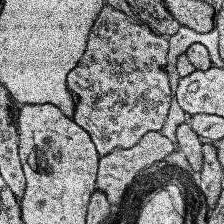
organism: Human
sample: Temporal Lobe